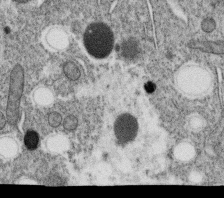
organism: C. elegans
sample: C. elegans oocyte; sperm cells